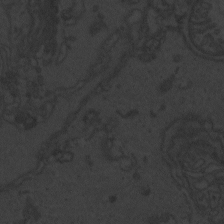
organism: Zebrafish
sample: Macrophage infected with Toxoplasma gondii